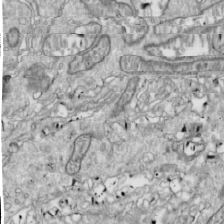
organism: Drosophila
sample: Cell division; meiosis; drosophila spermatocytes